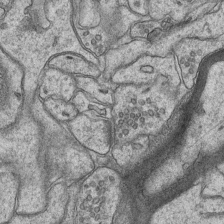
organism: Mouse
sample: CA1 Hippocampus